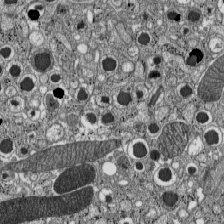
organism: C57BL Mouse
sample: Pancreatic islet